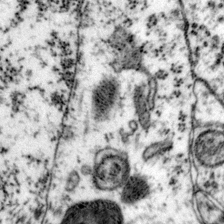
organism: Mouse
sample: Primary visual cortex